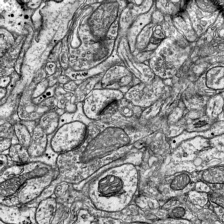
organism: Mouse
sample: Visual Cortex